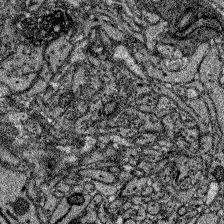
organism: Zebrafish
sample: Larval olfactory bulb